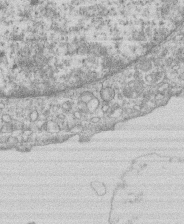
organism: Human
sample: Macrophage cells